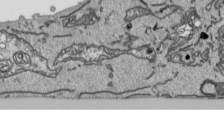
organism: Human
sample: Mitochondria in HCT116 cells